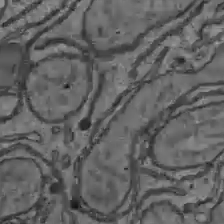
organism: C57BL Mouse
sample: Liver